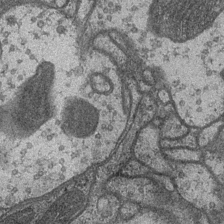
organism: Drosophila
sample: Optic medulla